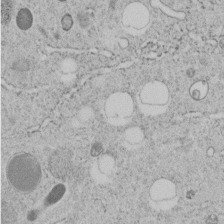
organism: C. elegans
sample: C. elegans embryo early stage